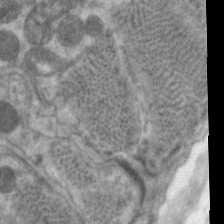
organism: C. elegans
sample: Pharynx